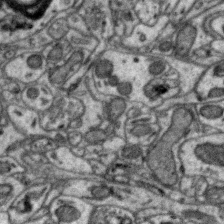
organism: Zebra finch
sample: Brain